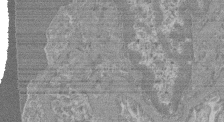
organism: Mouse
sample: Glomerulus